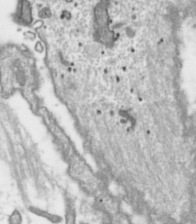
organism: Toxoplasma gondii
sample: Parasites in a vacuole inside a host cell